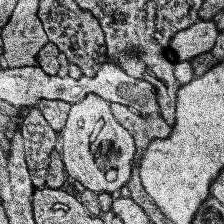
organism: Human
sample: Temporal Lobe